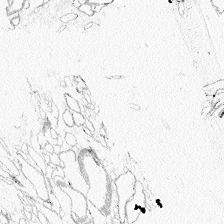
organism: Zebrafish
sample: Whole-Brain